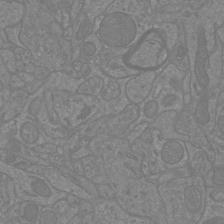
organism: Mouse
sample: Cortical neurons